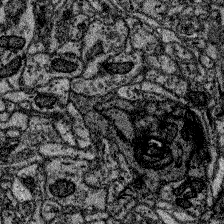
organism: Zebrafish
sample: Larval olfactory bulb